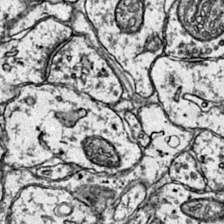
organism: Mouse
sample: Primary visual cortex